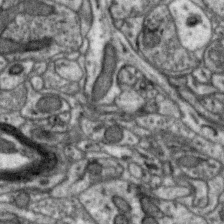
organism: Zebra finch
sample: Brain